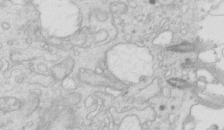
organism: Mouse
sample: Multiciliated cells